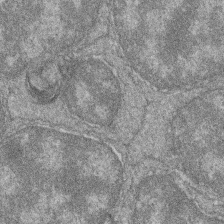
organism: Zebrafish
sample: Cilia; retinal pigment epithelium